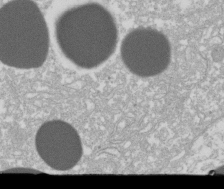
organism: Xenopus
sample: Cilia; centrioles in frog embryo cells